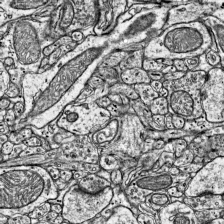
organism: Mouse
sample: Visual Cortex